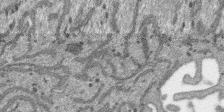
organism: Human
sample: Lung epithelial cells infected with SARS-CoV-2